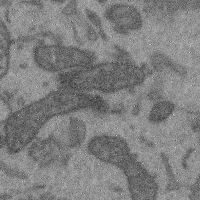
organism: Mouse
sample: Cerebral cortex